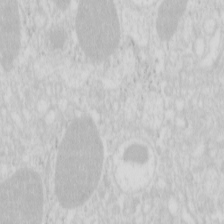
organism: Mouse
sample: Pancreas